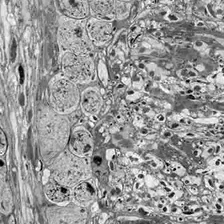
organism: Drosophila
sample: Optic lobe